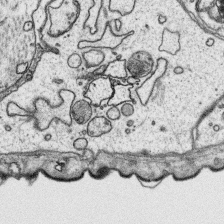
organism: Platynereis dumerilii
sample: Parapodia